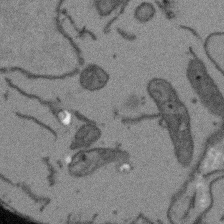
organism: Arabidopsis thaliana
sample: Root tip